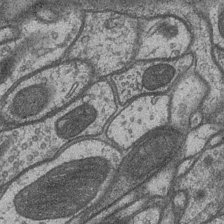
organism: Drosophila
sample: Optic medulla